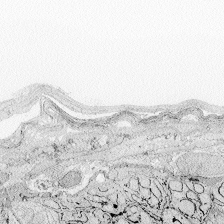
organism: Zebrafish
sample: Whole-Brain